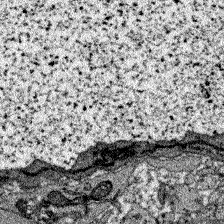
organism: Zebrafish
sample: Larval olfactory bulb